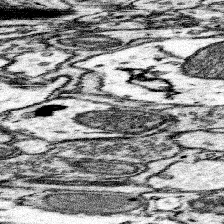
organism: Mouse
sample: Somatosensory cortex neuropil